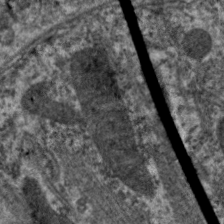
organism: C. elegans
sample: Pharynx